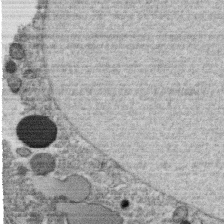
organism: C. elegans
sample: C. elegans oocyte; sperm cells